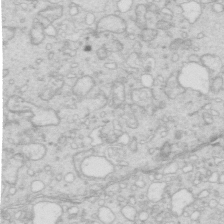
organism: Mouse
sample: Multiciliated cells